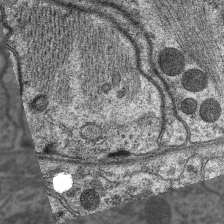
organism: C. elegans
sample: Pharynx